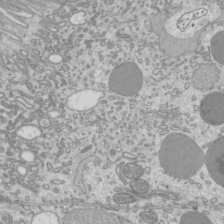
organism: Mouse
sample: Cilia; mouse epididymis